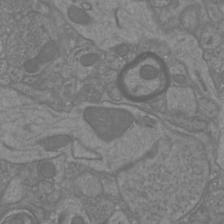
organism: Mouse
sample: Cortical neurons